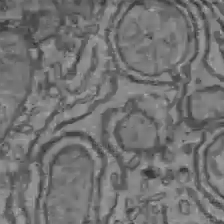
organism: C57BL Mouse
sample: Liver